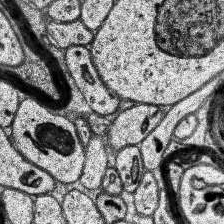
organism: Human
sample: Temporal Lobe